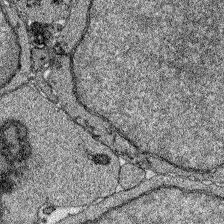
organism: Zebrafish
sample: Larval olfactory bulb